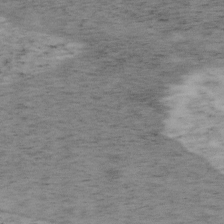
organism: Mouse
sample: OT-I killer T cells with ID8 ovarian cancer cells